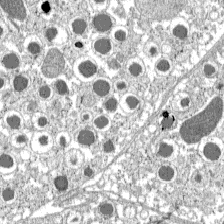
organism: C57BL Mouse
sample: Pancreatic islet